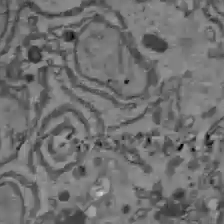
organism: C57BL Mouse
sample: Liver